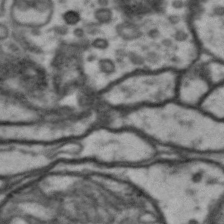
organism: Drosophila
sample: Brain